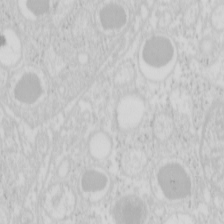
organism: Mouse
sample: Pancreas